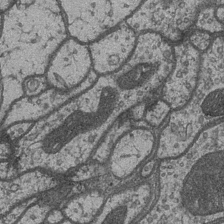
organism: Drosophila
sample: Optic medulla